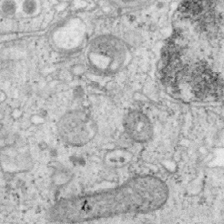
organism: Mouse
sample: OT-I killer T cells with ID8 ovarian cancer cells